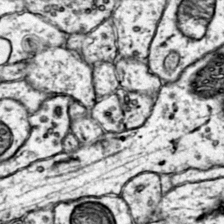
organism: Mouse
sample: Primary visual cortex